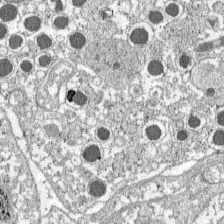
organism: C57BL Mouse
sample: Pancreatic islet